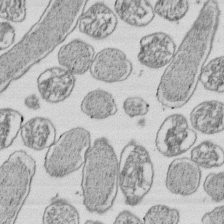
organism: E. coli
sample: Bacterial nucleoid